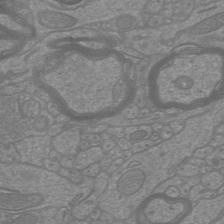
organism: Mouse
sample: Cortical neurons